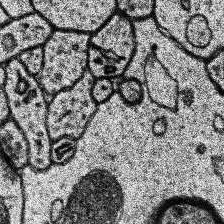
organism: Human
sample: Temporal Lobe